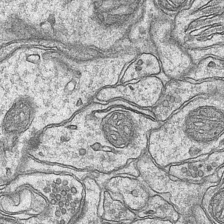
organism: Mouse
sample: CA1 Hippocampus